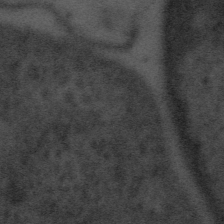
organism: Tuwongella immobilis